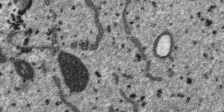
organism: Human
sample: Lung epithelial cells infected with SARS-CoV-2